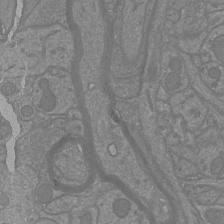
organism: Mouse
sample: Cortical neurons